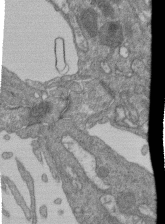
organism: Human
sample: Retinal organoid Rod and Cone cells